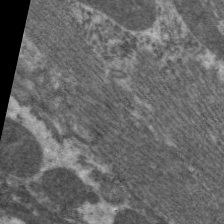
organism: C. elegans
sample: Pharynx